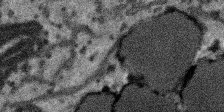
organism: Human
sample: Lung epithelial cells infected with SARS-CoV-2